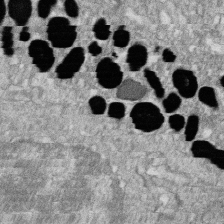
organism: Zebrafish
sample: Cilia; retinal pigment epithelium